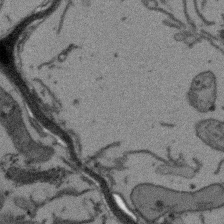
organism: Arabidopsis thaliana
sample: Root tip